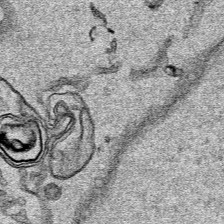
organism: Human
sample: Mitochondria in HCT116 cells